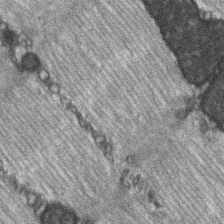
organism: C57BL Mouse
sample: Soleus